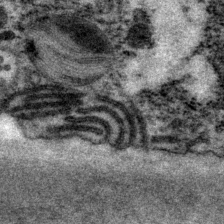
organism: P. pacificus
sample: Pharynx